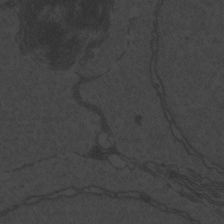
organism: Zebrafish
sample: Macrophage infected with Toxoplasma gondii